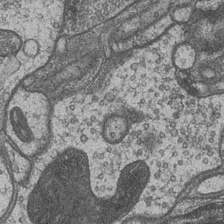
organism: Drosophila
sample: Optic medulla